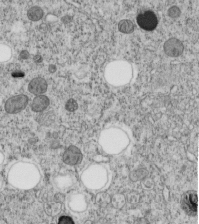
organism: C. elegans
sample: C. elegans embryo early stage